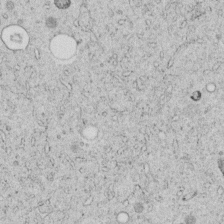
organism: C. elegans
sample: C. elegans embryo early stage